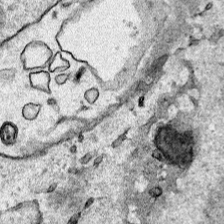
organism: Human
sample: Mitochondria in HCT116 cells